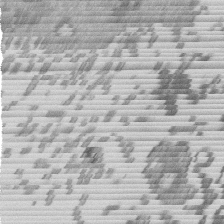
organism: Mouse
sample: Dividing mouse embryo 1 cell stage